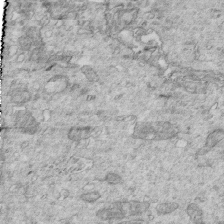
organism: Mouse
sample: Multiciliated cells